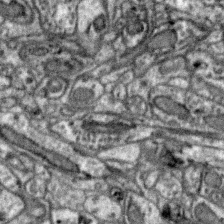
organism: Zebra finch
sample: Brain